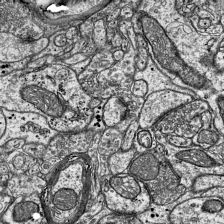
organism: Mouse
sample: Visual Cortex